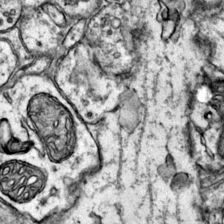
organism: Mouse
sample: Primary visual cortex